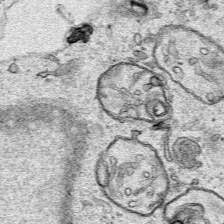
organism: Human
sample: Mitochondria in HCT116 cells